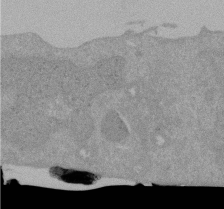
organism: Mouse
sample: ED-1 cell nuclei; centrioles